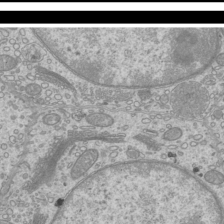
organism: Mouse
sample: Cilia; mouse epididymis